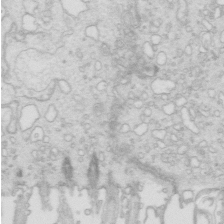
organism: Mouse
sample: Multiciliated cells